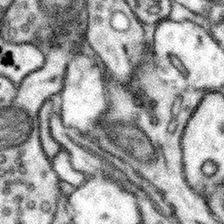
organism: Mouse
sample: Somatosensory cortex neuropil